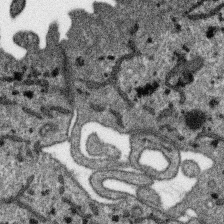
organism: Human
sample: Lung epithelial cells infected with SARS-CoV-2